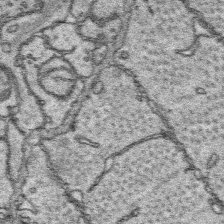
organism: Platynereis dumerilii